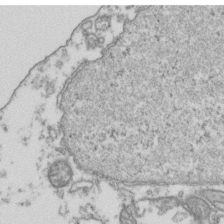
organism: Human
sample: Activated Jurkat CD4+ T cells